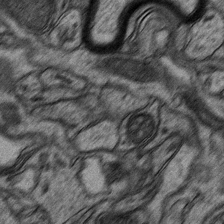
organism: Mouse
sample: CA1 Hippocampus